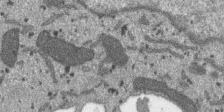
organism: Human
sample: Lung epithelial cells infected with SARS-CoV-2